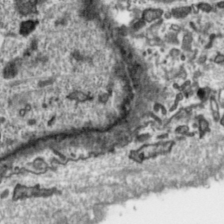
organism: Toxoplasma gondii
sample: Parasites in a vacuole inside a host cell